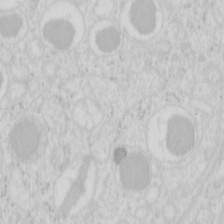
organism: Mouse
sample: Pancreas